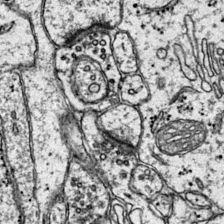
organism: Mouse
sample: Primary visual cortex